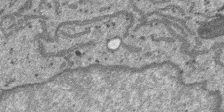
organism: Human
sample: Lung epithelial cells infected with SARS-CoV-2